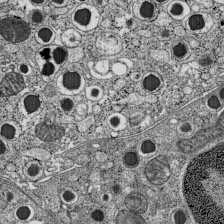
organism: C57BL Mouse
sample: Pancreatic islet